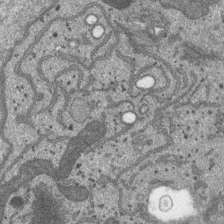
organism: Human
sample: Lung epithelial cells infected with SARS-CoV-2